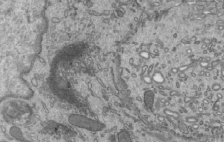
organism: Mouse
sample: Mouse epididymis efferent ductule cilia